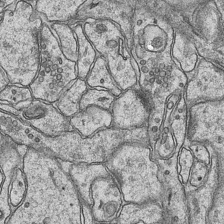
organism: Mouse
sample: CA1 Hippocampus